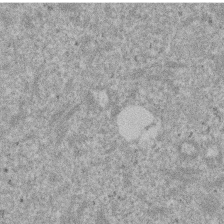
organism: Mouse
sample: Dividing mouse embryo 1 cell stage